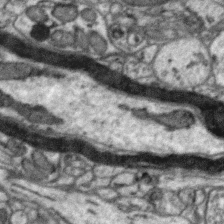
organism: Zebra finch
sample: Brain